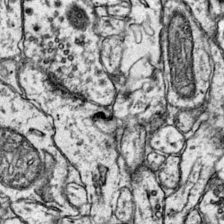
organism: Mouse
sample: Primary visual cortex